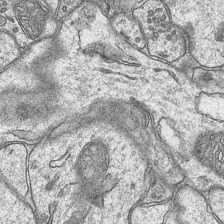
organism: Mouse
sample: CA1 Hippocampus